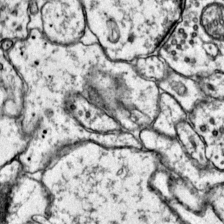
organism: Mouse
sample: Primary visual cortex